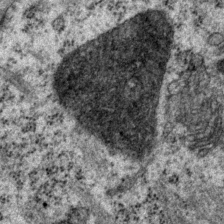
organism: P. pacificus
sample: Pharynx